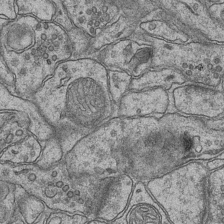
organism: Mouse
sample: CA1 Hippocampus